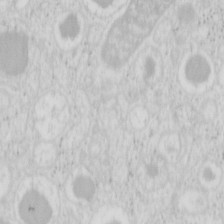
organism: Mouse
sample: Pancreas